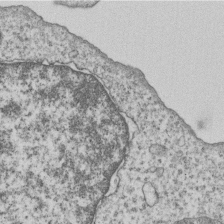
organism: Human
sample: MDA-MB-231 cells